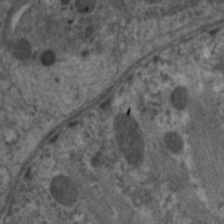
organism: C. elegans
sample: Pharynx